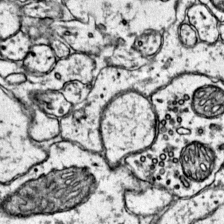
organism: Mouse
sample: Primary visual cortex